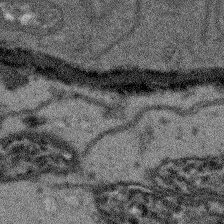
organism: Arabidopsis thaliana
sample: Root tip